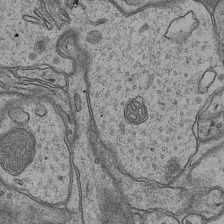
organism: Mouse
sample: CA1 Hippocampus